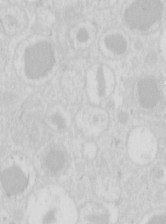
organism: Mouse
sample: Pancreas